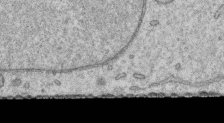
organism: Human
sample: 1205lu cells